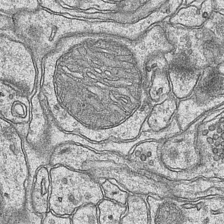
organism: Mouse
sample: CA1 Hippocampus